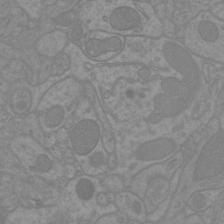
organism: Mouse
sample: Cortical neurons